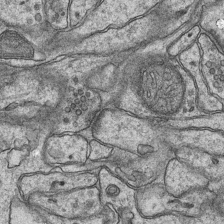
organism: Mouse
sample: CA1 Hippocampus